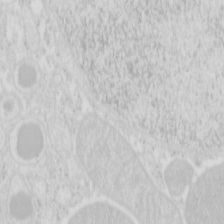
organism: Mouse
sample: Pancreas